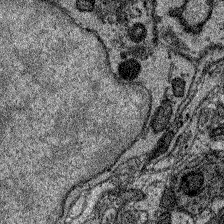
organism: Zebrafish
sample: Larval olfactory bulb